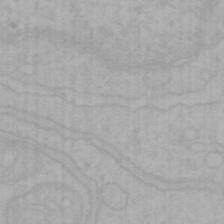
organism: Mouse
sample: Choroid plexus